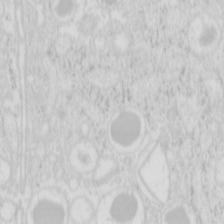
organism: Mouse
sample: Pancreas